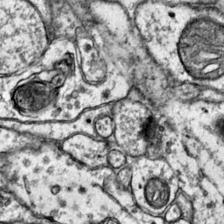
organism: Mouse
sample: Primary visual cortex